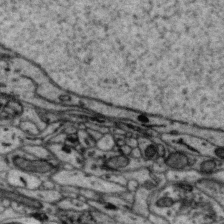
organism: Zebra finch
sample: Brain